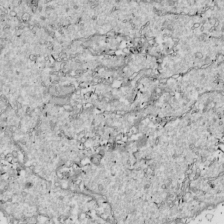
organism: Drosophila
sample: Cell division; meiosis; drosophila spermatocytes